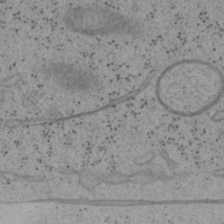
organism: Human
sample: HeLa cells